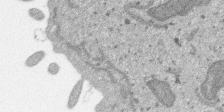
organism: Human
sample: Lung epithelial cells infected with SARS-CoV-2